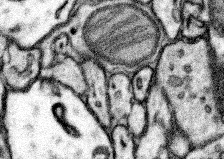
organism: Mouse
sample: Somatosensory cortex neuropil